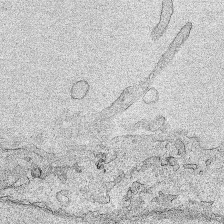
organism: Human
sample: Mitochondria in HCT116 cells